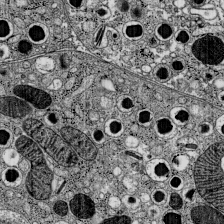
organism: C57BL Mouse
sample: Pancreatic islet